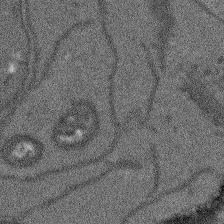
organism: Arabidopsis thaliana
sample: Root tip